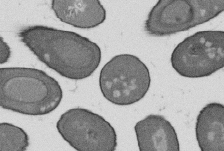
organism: B. subtilis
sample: Bacterial spore